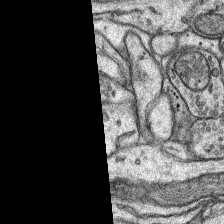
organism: Rat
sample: Hippocampus